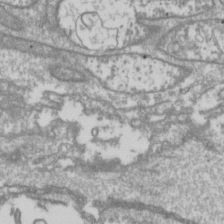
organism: Drosophila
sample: Cell division; meiosis; drosophila spermatocytes